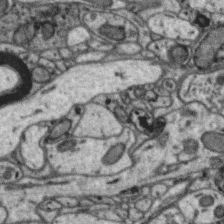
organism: Zebra finch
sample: Brain